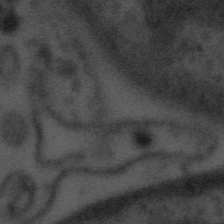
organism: Tuwongella immobilis